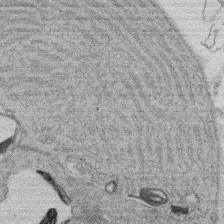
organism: Rat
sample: Salivary granule